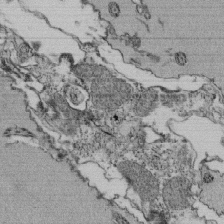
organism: Tetrahymena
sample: Cilia in tetrahymena